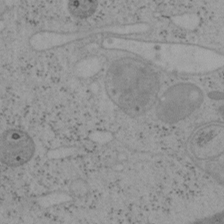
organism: Mouse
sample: OT-I killer T cells with ID8 ovarian cancer cells